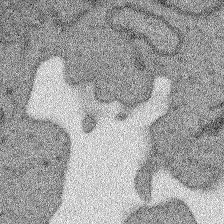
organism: Human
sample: HeLa cells